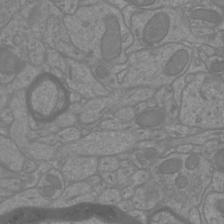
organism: Mouse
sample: Cortical neurons